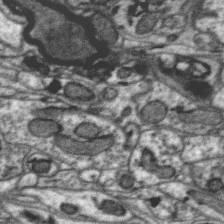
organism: Zebra finch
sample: Brain